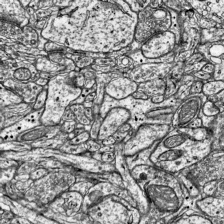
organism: Mouse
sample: Visual Cortex